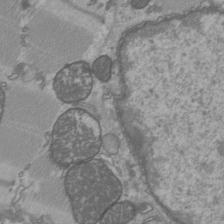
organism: C57BL Mouse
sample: Heart